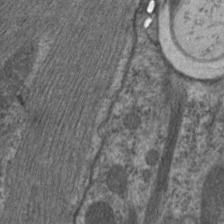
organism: C. elegans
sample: Pharynx